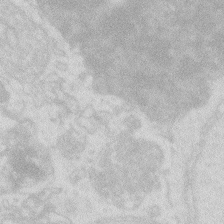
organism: Zebrafish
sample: Macrophage